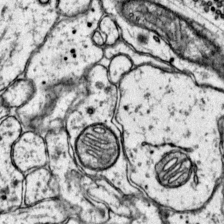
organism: Mouse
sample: Primary visual cortex